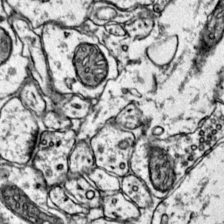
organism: Mouse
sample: Primary visual cortex